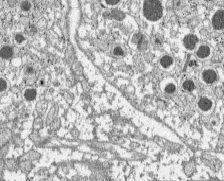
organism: C57BL Mouse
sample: Pancreatic islet